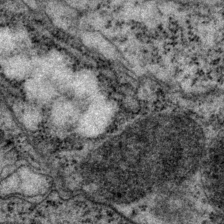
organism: P. pacificus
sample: Pharynx